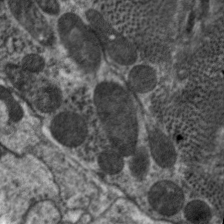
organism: C. elegans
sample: Pharynx